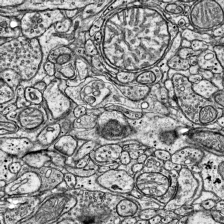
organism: Mouse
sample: Visual Cortex